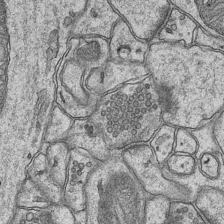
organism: Mouse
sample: CA1 Hippocampus